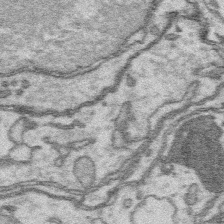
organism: Platynereis dumerilii